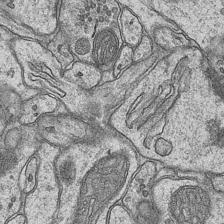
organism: Mouse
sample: CA1 Hippocampus